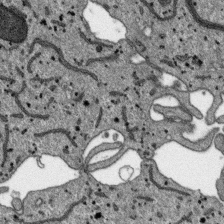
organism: Human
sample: Lung epithelial cells, uninfected (mock) control